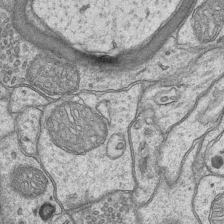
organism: Mouse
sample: CA1 Hippocampus